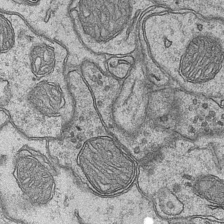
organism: Mouse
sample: CA1 Hippocampus